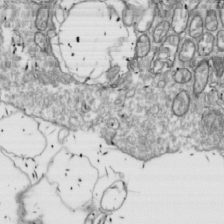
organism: Drosophila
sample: Cell division; meiosis; drosophila spermatocytes